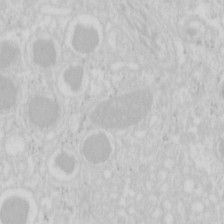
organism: Mouse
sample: Pancreas